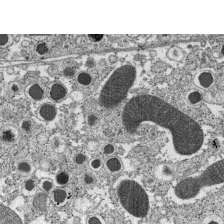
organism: C57BL Mouse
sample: Pancreatic islet